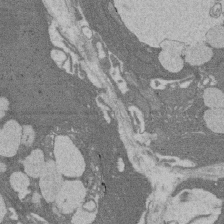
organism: Rat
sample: Salivary granule